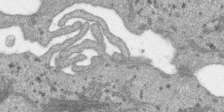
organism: Human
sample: Lung epithelial cells infected with SARS-CoV-2